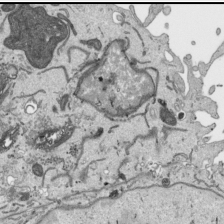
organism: Human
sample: Mitochondria in HCT116 cells